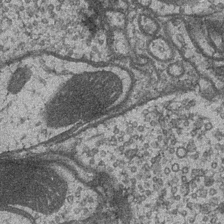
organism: Drosophila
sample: Optic medulla